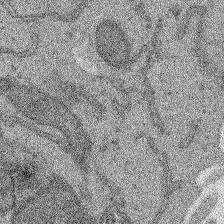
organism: Human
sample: HeLa cells